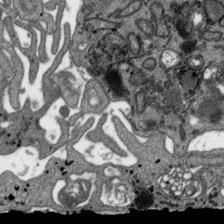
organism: Human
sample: Lung epithelial cells, uninfected (mock) control